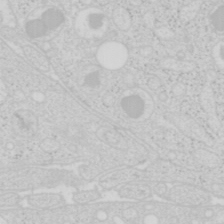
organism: Mouse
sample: Pancreas